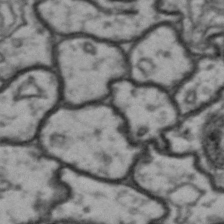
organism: Drosophila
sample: Brain